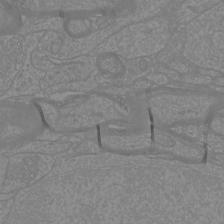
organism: Mouse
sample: Cortical neurons